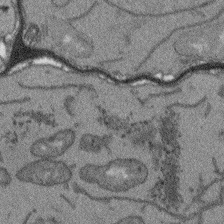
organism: Arabidopsis thaliana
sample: Root tip